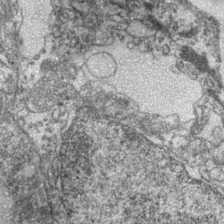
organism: Zebrafish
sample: Zebrafish embryo